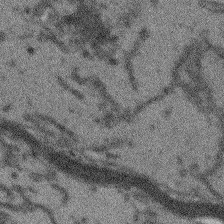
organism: Arabidopsis thaliana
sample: Root tip